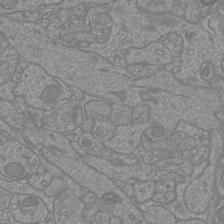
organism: Mouse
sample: Cortical neurons